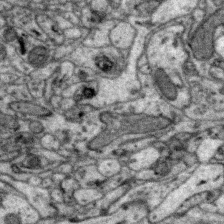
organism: Zebra finch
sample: Brain